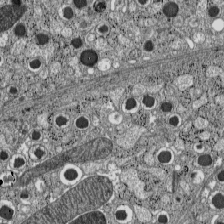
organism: C57BL Mouse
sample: Pancreatic islet